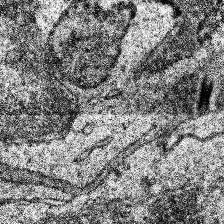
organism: Human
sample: Temporal Lobe